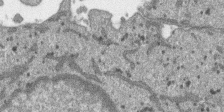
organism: Human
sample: Lung epithelial cells infected with SARS-CoV-2